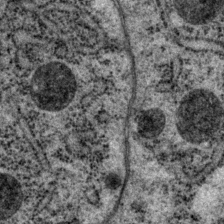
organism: P. pacificus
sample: Pharynx